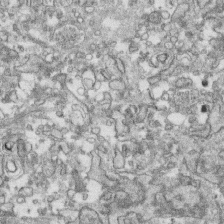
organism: Human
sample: CRL-1474